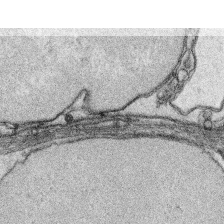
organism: Platynereis dumerilii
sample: Parapodia